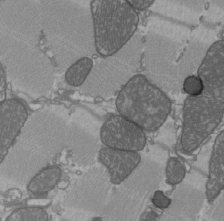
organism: C57BL Mouse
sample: Heart